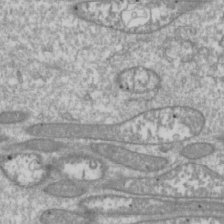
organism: Drosophila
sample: Cell division; meiosis; drosophila spermatocytes